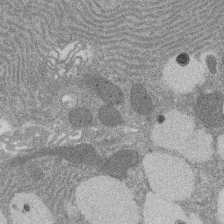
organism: Rat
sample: Salivary granule